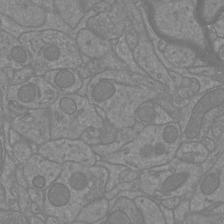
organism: Mouse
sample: Cortical neurons